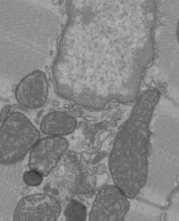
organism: C57BL Mouse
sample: Heart